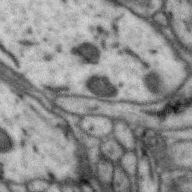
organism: Zebra finch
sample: Brain